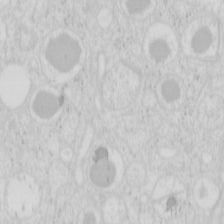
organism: Mouse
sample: Pancreas